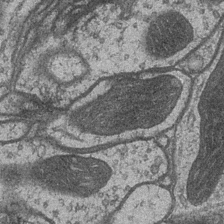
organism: Drosophila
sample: Optic medulla